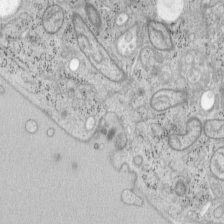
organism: Mouse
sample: OT-I killer T cells with ID8 ovarian cancer cells